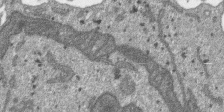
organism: Human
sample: Lung epithelial cells infected with SARS-CoV-2